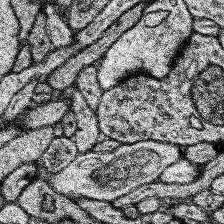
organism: Human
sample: Temporal Lobe